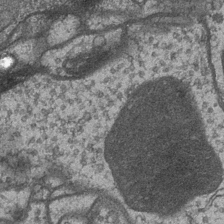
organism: Drosophila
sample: Optic medulla